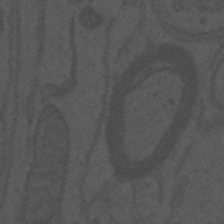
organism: Mouse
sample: Suprachiasmatic nucleus